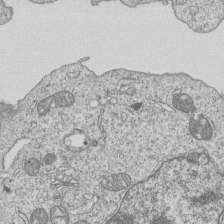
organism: Human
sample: MDA-MB-231 cells